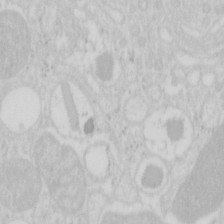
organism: Mouse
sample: Pancreas